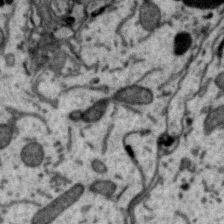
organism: Zebra finch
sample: Brain